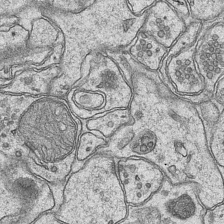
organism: Mouse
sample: CA1 Hippocampus